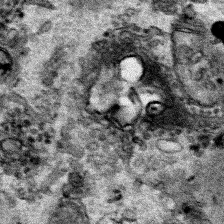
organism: Human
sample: Mitochondria in HCT116 cells